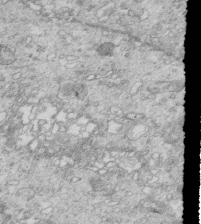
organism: Mouse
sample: Multiciliated cells